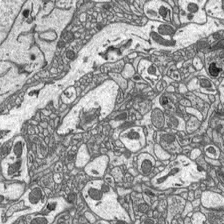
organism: C57BL Mouse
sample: Optic nerve head